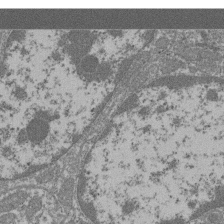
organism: Mouse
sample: Glomerulus